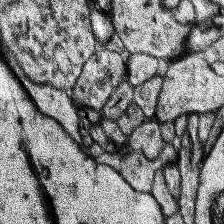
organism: Human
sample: Temporal Lobe